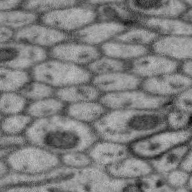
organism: Zebra finch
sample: Brain